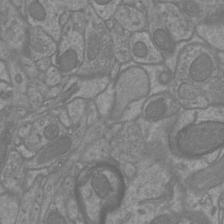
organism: Mouse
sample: Cortical neurons